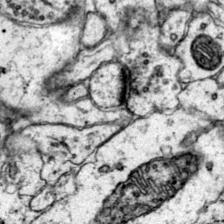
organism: Mouse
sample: Primary visual cortex